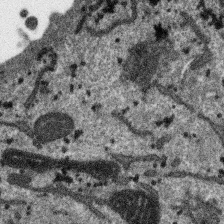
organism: Human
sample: Lung epithelial cells infected with SARS-CoV-2